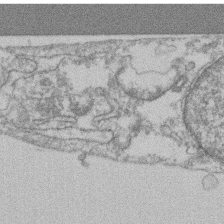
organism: Mouse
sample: T cell stromal cell synapse